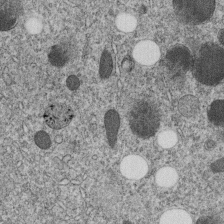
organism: C. elegans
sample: C. elegans embryo early stage